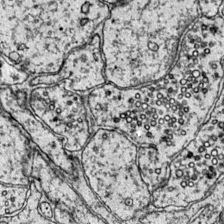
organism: Mouse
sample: Primary visual cortex